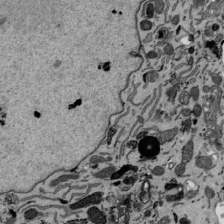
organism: Mouse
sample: ED-1 cell nuclei; centrioles